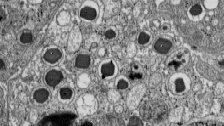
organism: C57BL Mouse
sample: Pancreatic islet